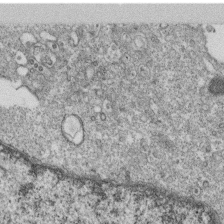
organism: African green monkey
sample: Vero E6 cells infected with SARS-CoV-2